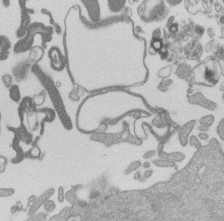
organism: Mouse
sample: Dividing mouse embryo 1 cell stage